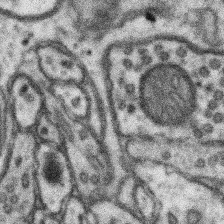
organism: Mouse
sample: Somatosensory cortex neuropil